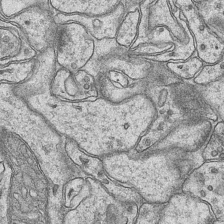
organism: Mouse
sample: CA1 Hippocampus